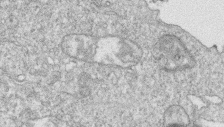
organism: Human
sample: HeLa cell HIV synapse